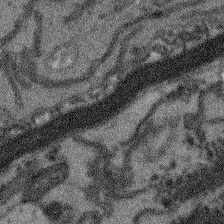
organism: Arabidopsis thaliana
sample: Root tip